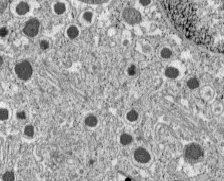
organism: C57BL Mouse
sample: Pancreatic islet